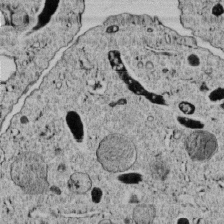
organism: C. elegans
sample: C. elegans embryo early stage